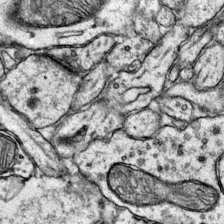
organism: Mouse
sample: Primary visual cortex